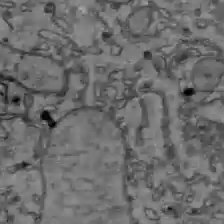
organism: C57BL Mouse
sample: Liver